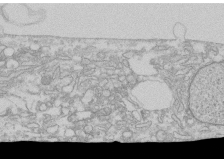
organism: Human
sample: CRL-1474